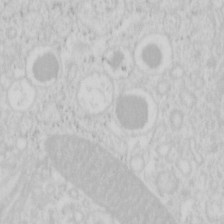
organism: Mouse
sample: Pancreas